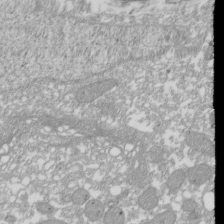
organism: Xenopus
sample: Cilia; centrioles in frog embryo cells